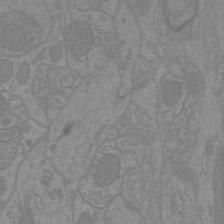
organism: Mouse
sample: Cortical neurons